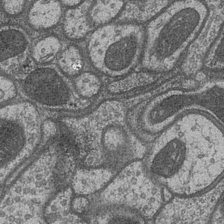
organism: Drosophila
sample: Optic medulla